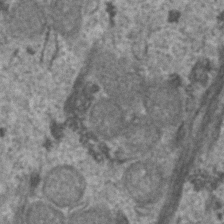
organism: Human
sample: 1205lu cells